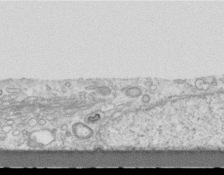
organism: Mouse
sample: Centriole in ependymal cells